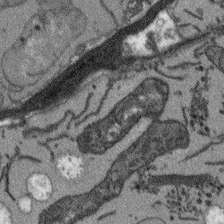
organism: Arabidopsis thaliana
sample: Root tip